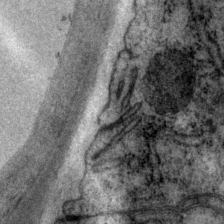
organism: P. pacificus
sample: Pharynx